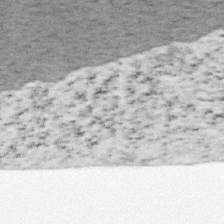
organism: Mouse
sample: OT-I killer T cells with ID8 ovarian cancer cells